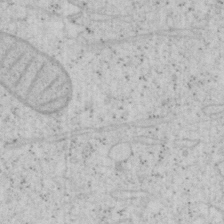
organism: Human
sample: HeLa cells